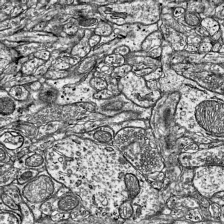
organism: Mouse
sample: Visual Cortex